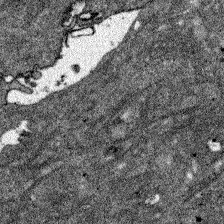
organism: Zebrafish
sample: Larval olfactory bulb